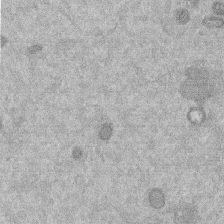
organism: Mouse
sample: Dividing mouse embryo 1 cell stage